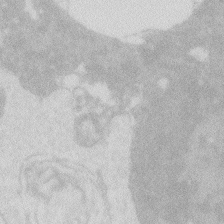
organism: Zebrafish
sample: Macrophage